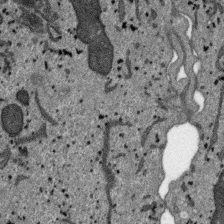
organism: Human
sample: Lung epithelial cells, uninfected (mock) control